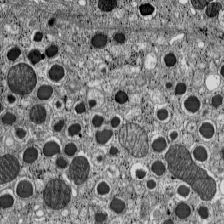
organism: C57BL Mouse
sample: Pancreatic islet